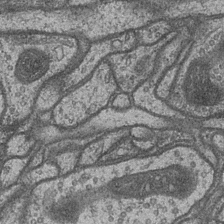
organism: Drosophila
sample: Optic medulla